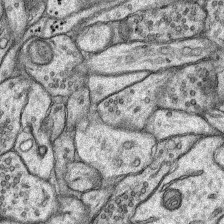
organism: Rat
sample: Hippocampus